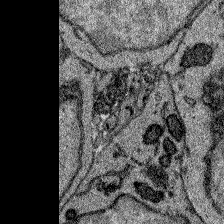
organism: Zebrafish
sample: Larval olfactory bulb